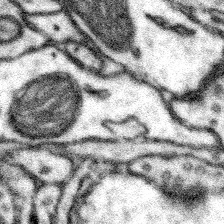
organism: Mouse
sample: Somatosensory cortex neuropil